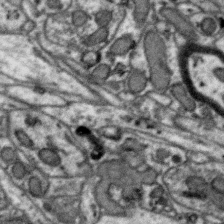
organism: Zebra finch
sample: Brain